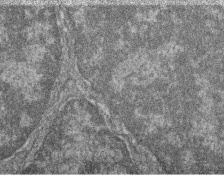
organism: Zebrafish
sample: Cilia; retinal pigment epithelium